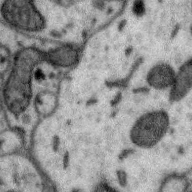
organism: Zebra finch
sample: Brain